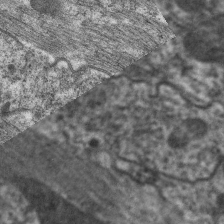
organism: C. elegans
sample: Pharynx